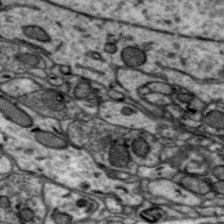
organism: Zebra finch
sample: Brain